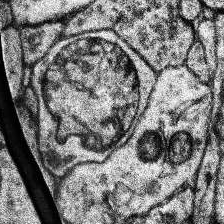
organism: Human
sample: Temporal Lobe